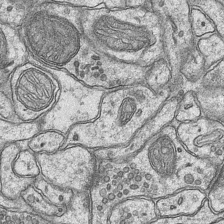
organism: Mouse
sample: CA1 Hippocampus